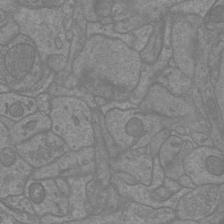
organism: Mouse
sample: Cortical neurons